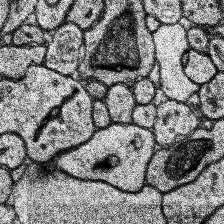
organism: Human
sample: Temporal Lobe